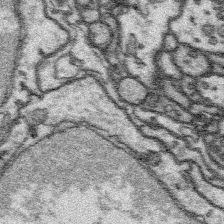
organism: Platynereis dumerilii